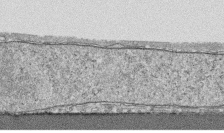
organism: Human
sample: CRL-1474